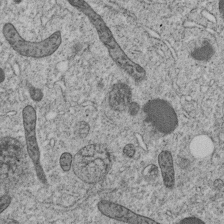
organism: C. elegans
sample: C. elegans embryo early stage